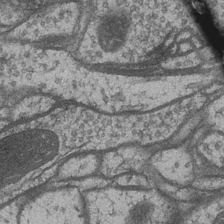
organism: Drosophila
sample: Optic medulla